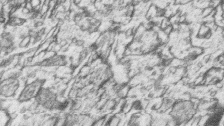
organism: Zebrafish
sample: synaptic ribbons in rod cells and cone cells